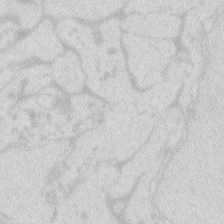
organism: Zebrafish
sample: Macrophage